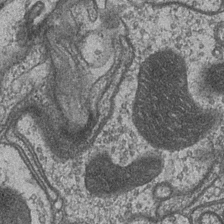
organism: Drosophila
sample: Optic medulla